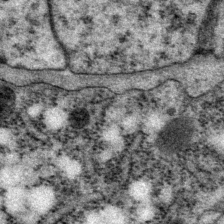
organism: P. pacificus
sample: Pharynx